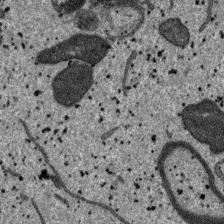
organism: Human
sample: Lung epithelial cells, uninfected (mock) control